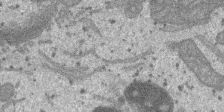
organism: Human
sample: Lung epithelial cells infected with SARS-CoV-2